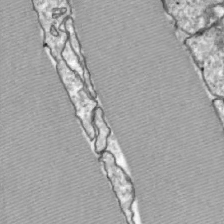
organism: Zebrafish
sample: Actinotrichia fibers